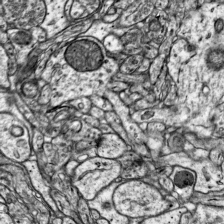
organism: Mouse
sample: Visual Cortex